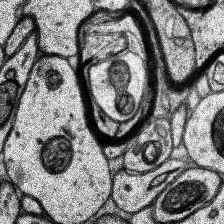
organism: Human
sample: Temporal Lobe